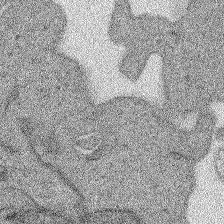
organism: Human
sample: HeLa cells